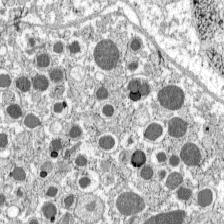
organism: C57BL Mouse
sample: Pancreatic islet